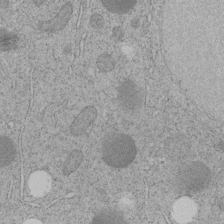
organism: C. elegans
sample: C. elegans embryo early stage